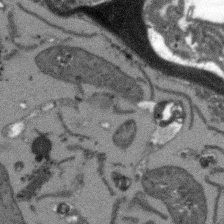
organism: Arabidopsis thaliana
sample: Root tip